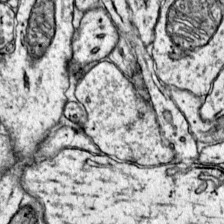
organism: Mouse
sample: Primary visual cortex